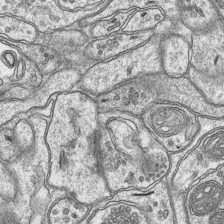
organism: Mouse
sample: CA1 Hippocampus